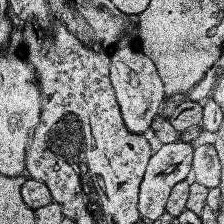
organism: Human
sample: Temporal Lobe